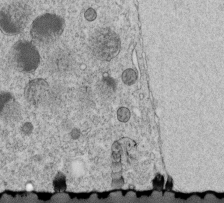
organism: C. elegans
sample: C. elegans embryo early stage